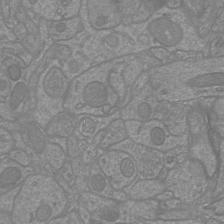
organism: Mouse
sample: Cortical neurons